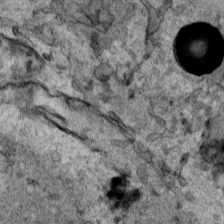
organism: Human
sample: Mitochondria in HCT116 cells